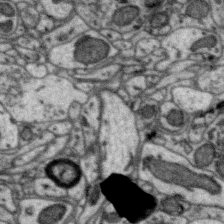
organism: Zebra finch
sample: Brain